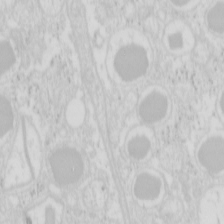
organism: Mouse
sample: Pancreas